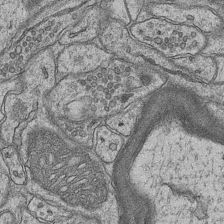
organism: Mouse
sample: CA1 Hippocampus